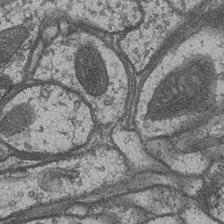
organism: Drosophila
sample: Optic medulla